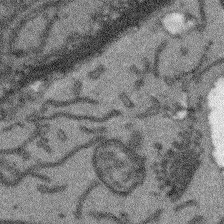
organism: Arabidopsis thaliana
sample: Root tip